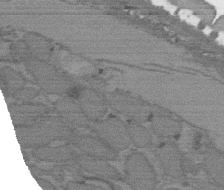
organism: C. elegans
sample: AFD neurons C. elegans